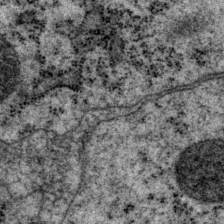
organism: P. pacificus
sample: Pharynx